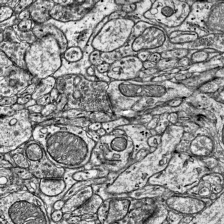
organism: Mouse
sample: Visual Cortex